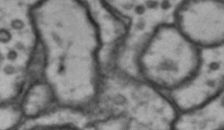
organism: Drosophila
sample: Brain